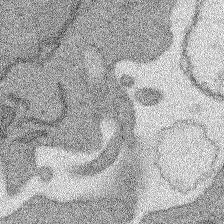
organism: Human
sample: HeLa cells